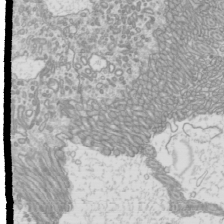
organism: Mouse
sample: Cilia; mouse epididymis